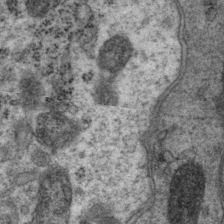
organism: P. pacificus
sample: Pharynx